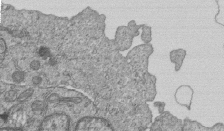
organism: Human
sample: MDA-MB-231 cells